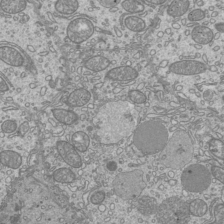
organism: Mouse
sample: Cilia; mouse epididymis